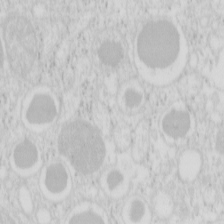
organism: Mouse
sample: Pancreas